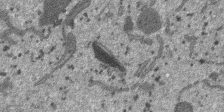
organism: Human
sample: Lung epithelial cells infected with SARS-CoV-2